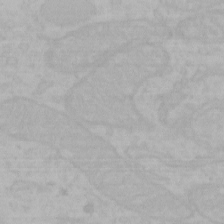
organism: Mouse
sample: Choroid plexus